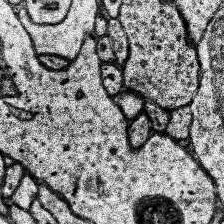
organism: Human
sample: Temporal Lobe